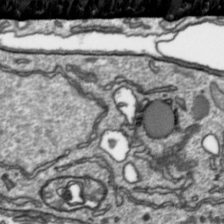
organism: Toxoplasma gondii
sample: Parasites in a vacuole inside a host cell